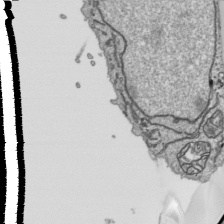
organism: Human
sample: Mitochondria in HCT116 cells